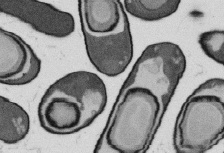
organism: B. subtilis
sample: Bacterial spore